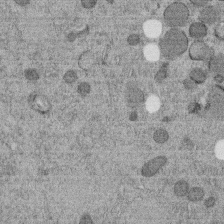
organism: C. elegans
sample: C. elegans embryo early stage